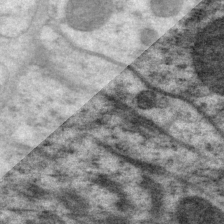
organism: P. pacificus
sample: Pharynx